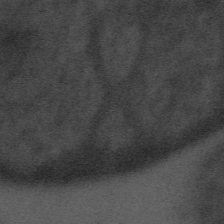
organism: Tuwongella immobilis